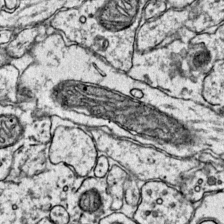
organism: Mouse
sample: Primary visual cortex